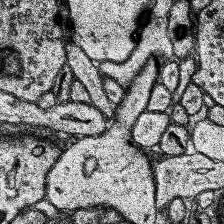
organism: Human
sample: Temporal Lobe